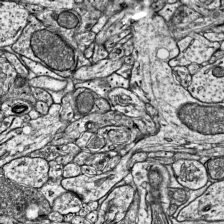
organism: Mouse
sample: Visual Cortex